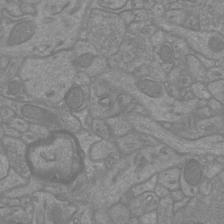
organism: Mouse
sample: Cortical neurons